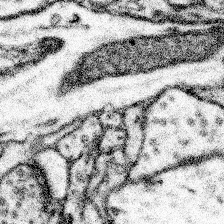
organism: Mouse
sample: Somatosensory cortex neuropil